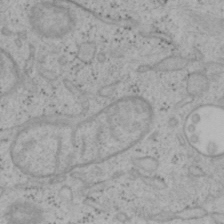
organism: Human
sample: HeLa cells